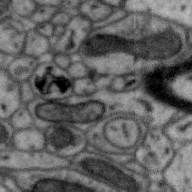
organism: Zebra finch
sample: Brain